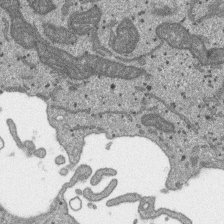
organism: Human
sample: Lung epithelial cells infected with SARS-CoV-2